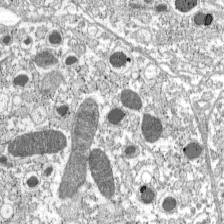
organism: C57BL Mouse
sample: Pancreatic islet